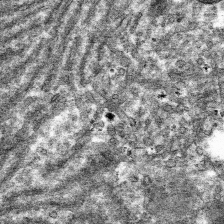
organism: Mouse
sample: Mouse hepatocytes